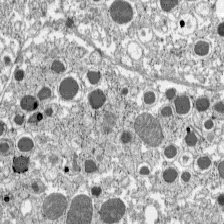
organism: C57BL Mouse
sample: Pancreatic islet